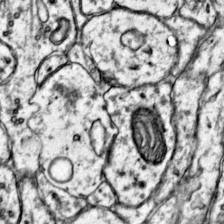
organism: Mouse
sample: Primary visual cortex